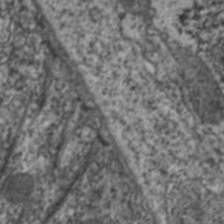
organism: C. elegans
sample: Pharynx